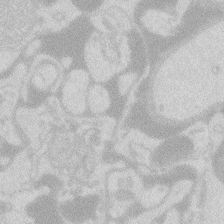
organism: Zebrafish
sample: Macrophage